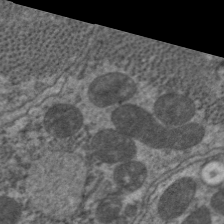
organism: C. elegans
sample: Pharynx